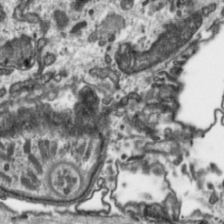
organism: Toxoplasma gondii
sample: Parasites in a vacuole inside a host cell